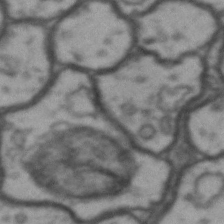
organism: Drosophila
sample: Brain